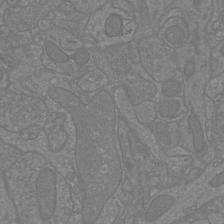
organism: Mouse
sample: Cortical neurons